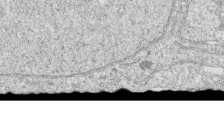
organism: Human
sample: HeLa cell HIV synapse